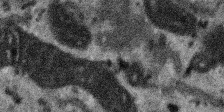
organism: Human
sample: Lung epithelial cells infected with SARS-CoV-2